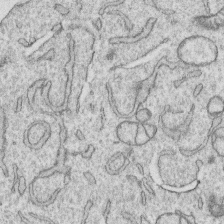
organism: Human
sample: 1205lu cells